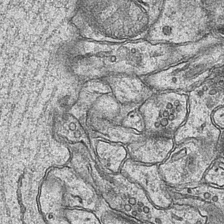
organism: Mouse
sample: CA1 Hippocampus